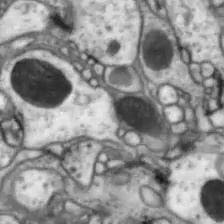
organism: Drosophila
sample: Optic lobe